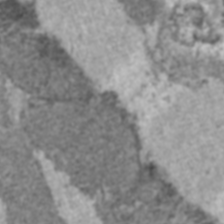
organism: C57BL Mouse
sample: Heart